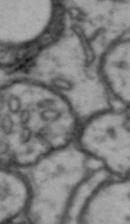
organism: Drosophila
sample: Brain